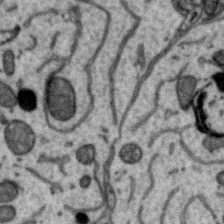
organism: Zebra finch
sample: Brain